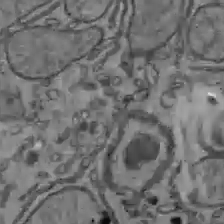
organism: C57BL Mouse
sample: Liver